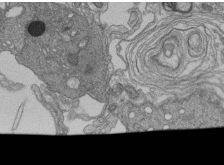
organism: Human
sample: Retinal organoid Rod and Cone cells